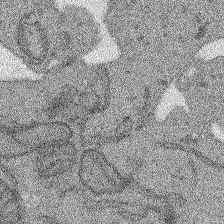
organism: Human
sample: HeLa cells